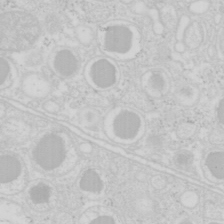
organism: Mouse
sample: Pancreas